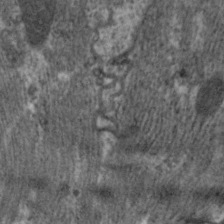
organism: C. elegans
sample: Pharynx